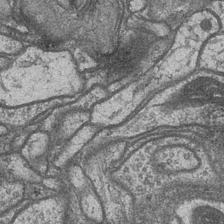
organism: Drosophila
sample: Optic medulla